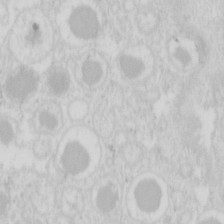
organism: Mouse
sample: Pancreas